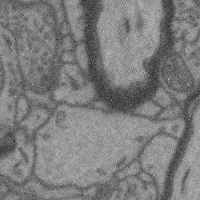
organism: Mouse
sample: Cerebral cortex